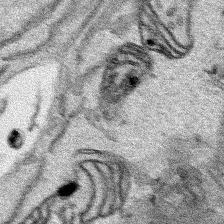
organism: Human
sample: Mitochondria in HCT116 cells